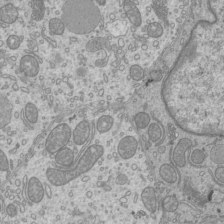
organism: Mouse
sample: Cilia; mouse epididymis